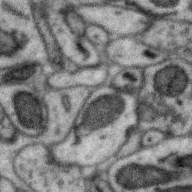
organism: Zebra finch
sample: Brain